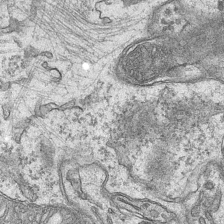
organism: Mouse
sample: CA1 Hippocampus